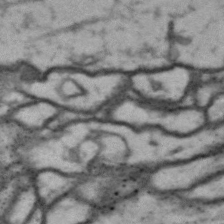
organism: Drosophila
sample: Brain